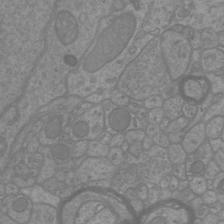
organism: Mouse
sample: Cortical neurons